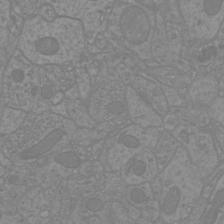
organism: Mouse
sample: Cortical neurons